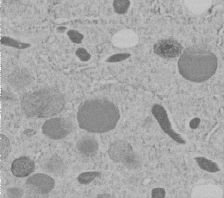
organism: C. elegans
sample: C. elegans embryo early stage